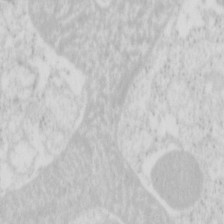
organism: Mouse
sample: Pancreas